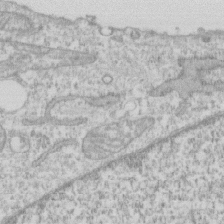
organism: Human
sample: CRL-1474